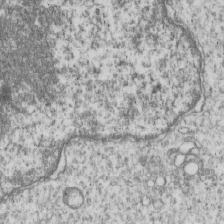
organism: Human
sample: MDA-MB-231 cells